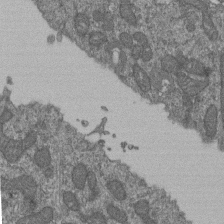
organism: Human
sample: Retinal organoid Rod and Cone cells